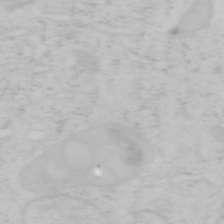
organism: Mouse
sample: OT-I killer T cells with ID8 ovarian cancer cells